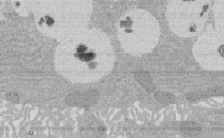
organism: Rat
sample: Salivary granule